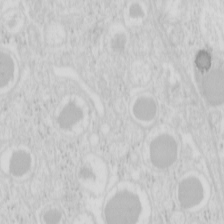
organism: Mouse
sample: Pancreas